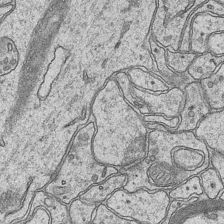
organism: Mouse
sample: CA1 Hippocampus